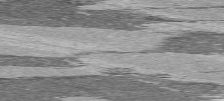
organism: C57BL Mouse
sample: Heart